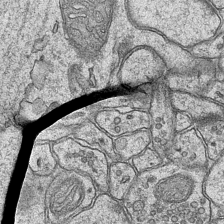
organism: Mouse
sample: CA1 Hippocampus